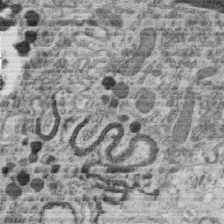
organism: C. elegans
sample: C. elegans oocyte; sperm cells